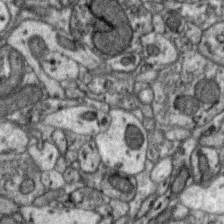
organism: Zebra finch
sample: Brain